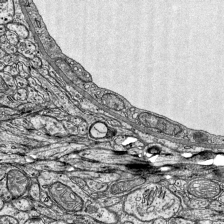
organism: Mouse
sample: Visual Cortex